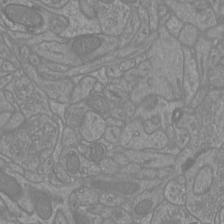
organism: Mouse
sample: Cortical neurons